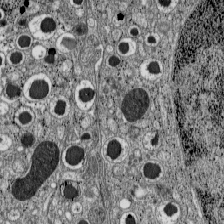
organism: C57BL Mouse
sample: Pancreatic islet